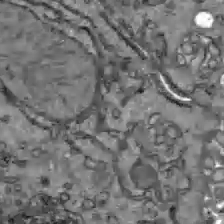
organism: C57BL Mouse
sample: Liver